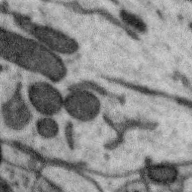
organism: Zebra finch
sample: Brain